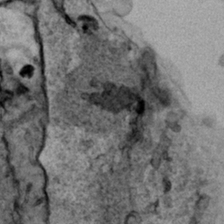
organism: Human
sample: Mitochondria in HCT116 cells